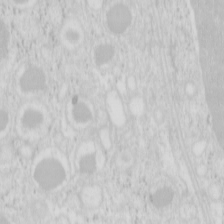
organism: Mouse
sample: Pancreas